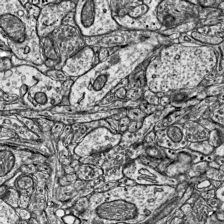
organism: Mouse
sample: Visual Cortex